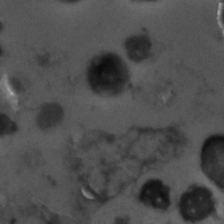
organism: Zebrafish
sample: Zebrafish embryo